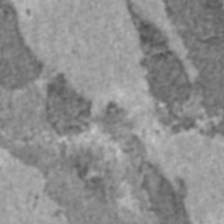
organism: C57BL Mouse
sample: Heart